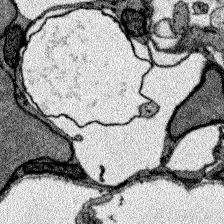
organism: Zebrafish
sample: Larval olfactory bulb